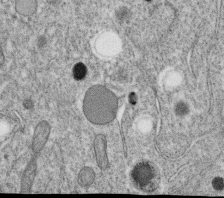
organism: C. elegans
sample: C. elegans oocyte; sperm cells